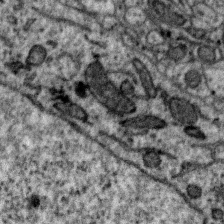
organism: Zebra finch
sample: Brain